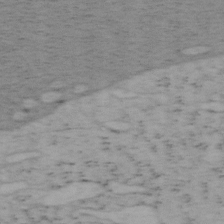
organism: Mouse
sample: OT-I killer T cells with ID8 ovarian cancer cells